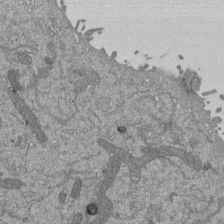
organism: Mouse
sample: ED-1 cell nuclei; centrioles